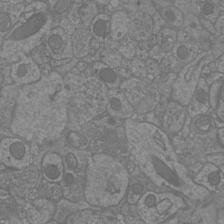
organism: Mouse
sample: Cortical neurons